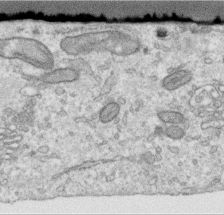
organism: Human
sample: Centriole in RPE cells